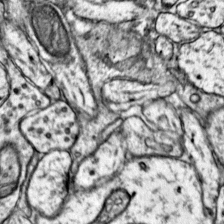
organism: Mouse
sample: Primary visual cortex